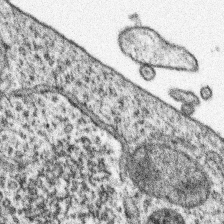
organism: Human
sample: HeLa cells